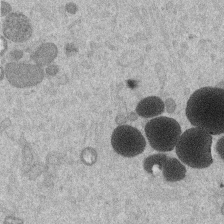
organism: Mouse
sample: Dividing mouse embryo 1 cell stage